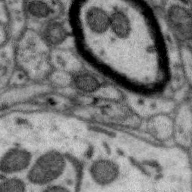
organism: Zebra finch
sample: Brain